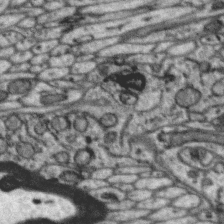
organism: Zebra finch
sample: Brain